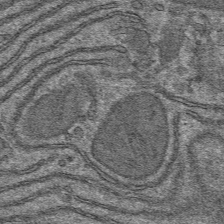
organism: Mouse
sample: Mouse hepatocytes